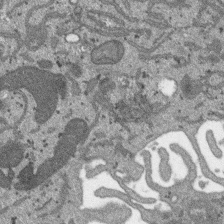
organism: Human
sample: Lung epithelial cells infected with SARS-CoV-2